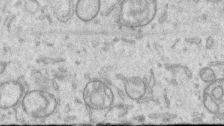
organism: Human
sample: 1205lu cells